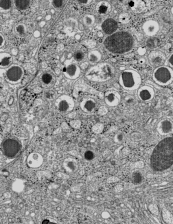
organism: C57BL Mouse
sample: Pancreatic islet